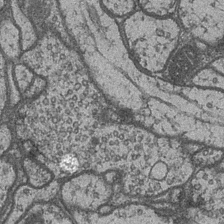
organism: Drosophila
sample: Optic medulla